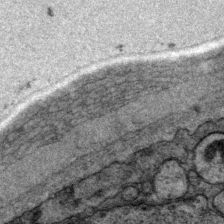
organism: P. pacificus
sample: Pharynx